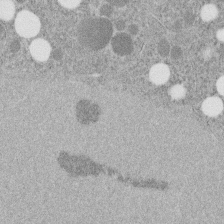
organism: C. elegans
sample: C. elegans embryo early stage